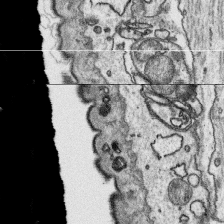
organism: Platynereis dumerilii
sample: Parapodia